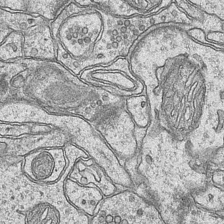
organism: Mouse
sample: CA1 Hippocampus